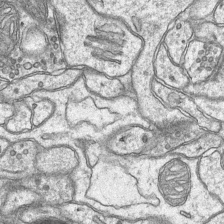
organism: Mouse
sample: CA1 Hippocampus